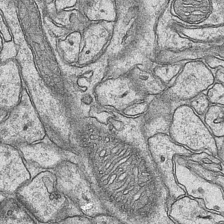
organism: Mouse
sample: CA1 Hippocampus